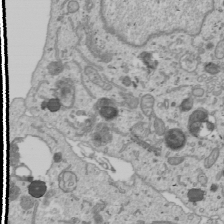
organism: Human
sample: Mitochondria in U2OS cells